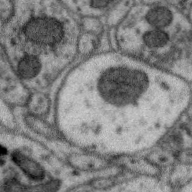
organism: Zebra finch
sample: Brain